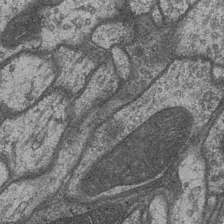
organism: Drosophila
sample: Optic medulla